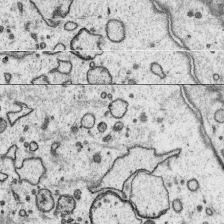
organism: Platynereis dumerilii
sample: Parapodia